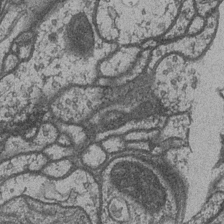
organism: Drosophila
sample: Optic medulla